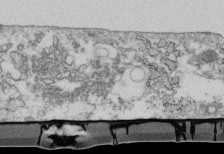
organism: Mouse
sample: Cilia; retinal pigment epithelium